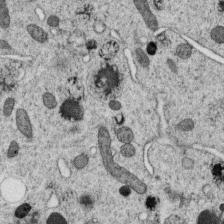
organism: C. elegans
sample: C. elegans oocyte; sperm cells